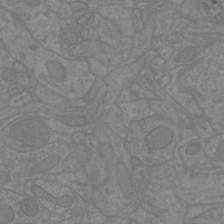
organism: Mouse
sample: Cortical neurons